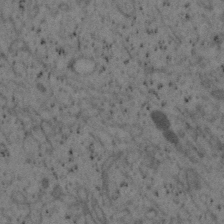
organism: Human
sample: HeLa cells